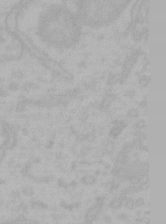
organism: Mouse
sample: Choroid plexus